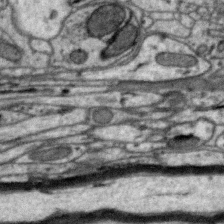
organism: Zebra finch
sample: Brain